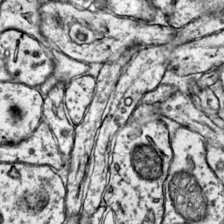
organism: Mouse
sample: Primary visual cortex